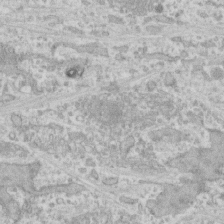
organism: Human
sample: CRL-1474